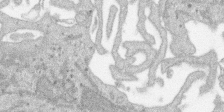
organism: Human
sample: Lung epithelial cells infected with SARS-CoV-2